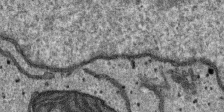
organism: Human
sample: Lung epithelial cells, uninfected (mock) control